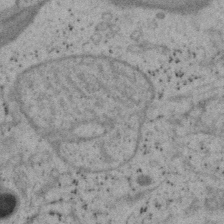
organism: Human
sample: HeLa cells